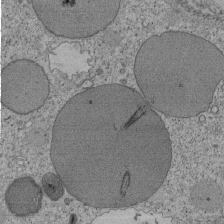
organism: Tetrahymena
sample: Cilia in tetrahymena